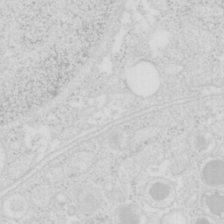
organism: Mouse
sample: Pancreas